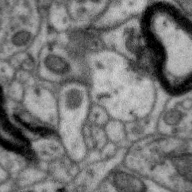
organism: Zebra finch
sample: Brain